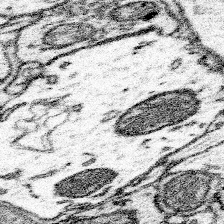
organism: Mouse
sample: Somatosensory cortex neuropil